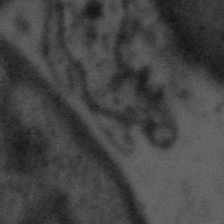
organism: Tuwongella immobilis